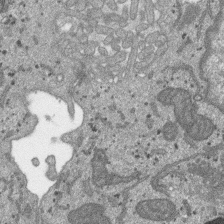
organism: Human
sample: Lung epithelial cells infected with SARS-CoV-2